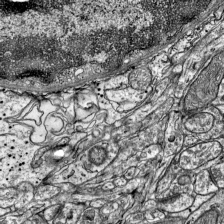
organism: Mouse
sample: Visual Cortex